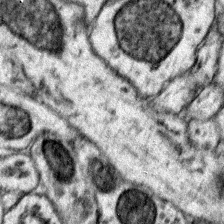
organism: Mouse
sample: Primary visual cortex